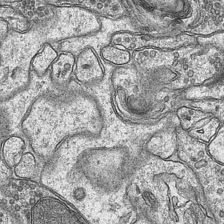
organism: Mouse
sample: CA1 Hippocampus